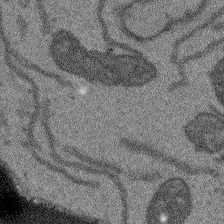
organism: Arabidopsis thaliana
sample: Root tip